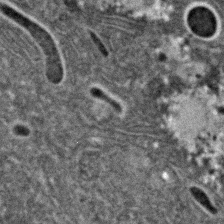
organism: C. elegans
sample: C. elegans embryo